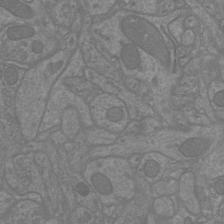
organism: Mouse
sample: Cortical neurons